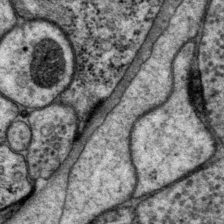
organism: P. pacificus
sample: Pharynx